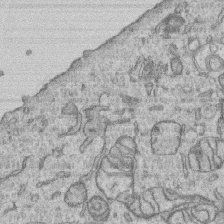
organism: Human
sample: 1205lu cells